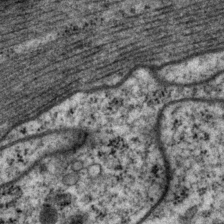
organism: P. pacificus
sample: Pharynx